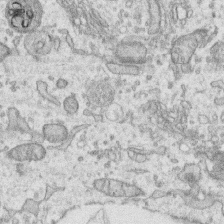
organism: Human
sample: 1205lu cells